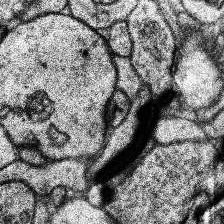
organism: Human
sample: Temporal Lobe